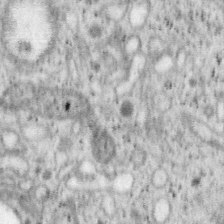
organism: Mouse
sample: OT-I killer T cells with ID8 ovarian cancer cells